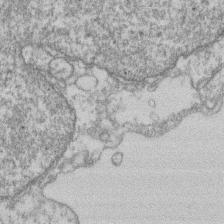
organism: Mouse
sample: T cell stromal cell synapse